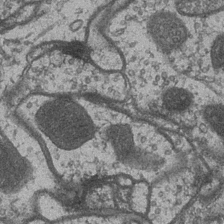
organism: Drosophila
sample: Optic medulla